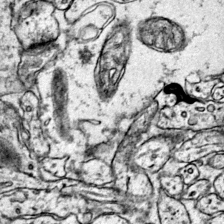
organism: Mouse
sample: Primary visual cortex